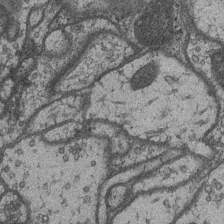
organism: Drosophila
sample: Optic medulla